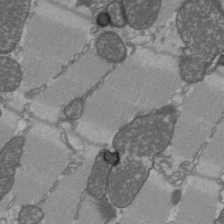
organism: C57BL Mouse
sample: Heart